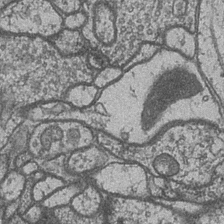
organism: Drosophila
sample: Optic medulla